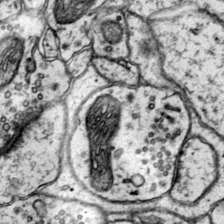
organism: Mouse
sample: Primary visual cortex